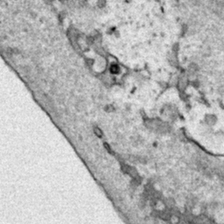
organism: Human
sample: Mitochondria in HCT116 cells